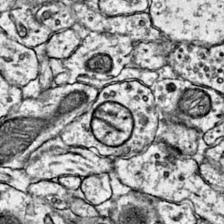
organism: Mouse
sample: Primary visual cortex